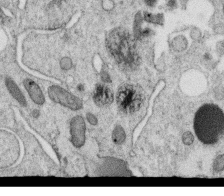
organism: C. elegans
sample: C. elegans oocyte; sperm cells